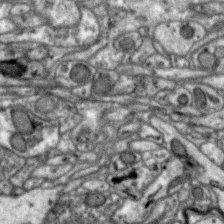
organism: Zebra finch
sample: Brain